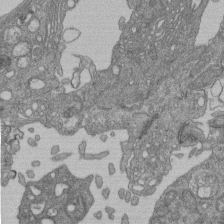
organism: Human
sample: Retinal organoid Rod and Cone cells